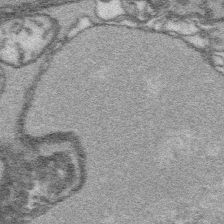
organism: Platynereis dumerilii